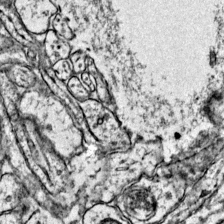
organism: Mouse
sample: Primary visual cortex